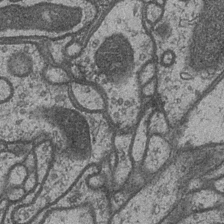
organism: Drosophila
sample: Optic medulla